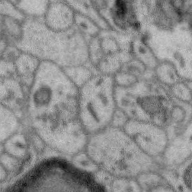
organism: Zebra finch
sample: Brain